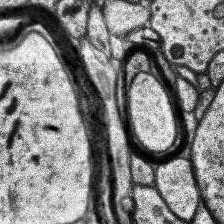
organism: Human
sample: Temporal Lobe